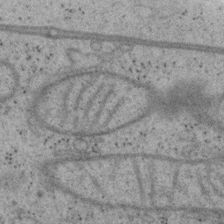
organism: Human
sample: HeLa cells